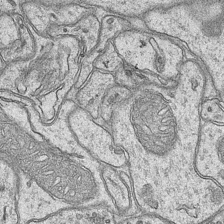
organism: Mouse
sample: CA1 Hippocampus